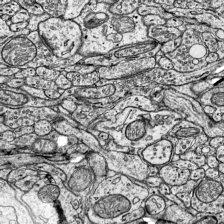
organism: Mouse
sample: Visual Cortex